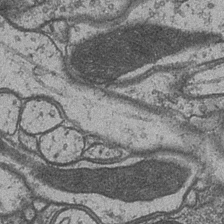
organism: Drosophila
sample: Optic medulla